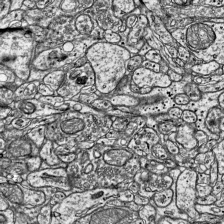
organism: Mouse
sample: Visual Cortex